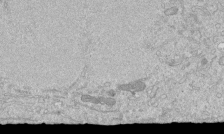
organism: Mouse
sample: ED-1 cell nuclei; centrioles